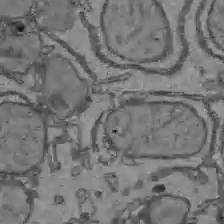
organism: C57BL Mouse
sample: Liver